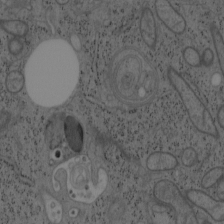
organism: Mouse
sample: OT-I killer T cells with ID8 ovarian cancer cells